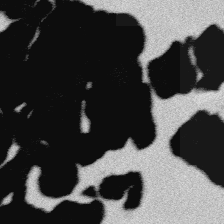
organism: Platynereis dumerilii